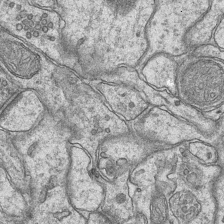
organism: Mouse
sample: CA1 Hippocampus